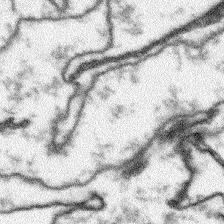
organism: Arabidopsis thaliana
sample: Root tip